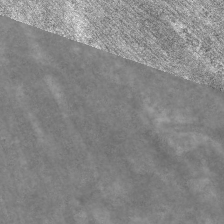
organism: C. elegans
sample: Pharynx